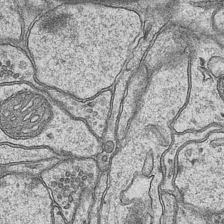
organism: Mouse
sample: CA1 Hippocampus